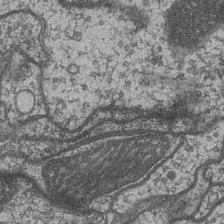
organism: Drosophila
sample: Optic medulla